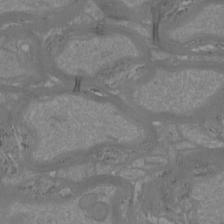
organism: Mouse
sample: Cortical neurons